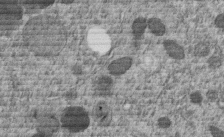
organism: C. elegans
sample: C. elegans embryo early stage